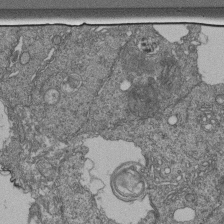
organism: Human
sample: Retinal organoid Rod and Cone cells